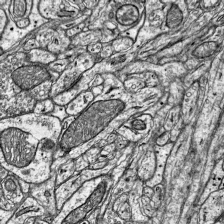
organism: Mouse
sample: Visual Cortex